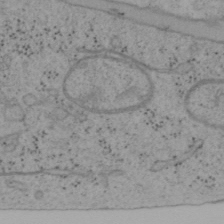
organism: Human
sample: HeLa cells